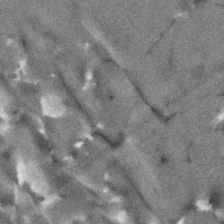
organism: Human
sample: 1205lu cells